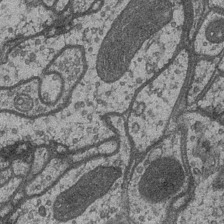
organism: Drosophila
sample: Optic medulla